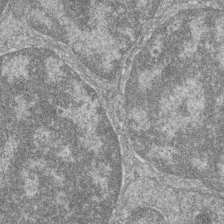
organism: Zebrafish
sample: Cilia; retinal pigment epithelium